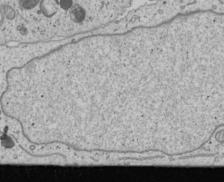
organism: Human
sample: Mitochondria in U2OS cells